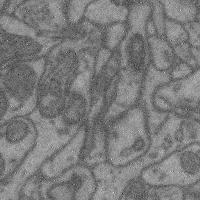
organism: Mouse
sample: Cerebral cortex